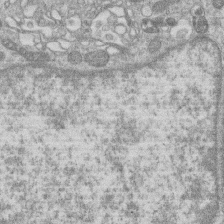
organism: Human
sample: Macrophage cells